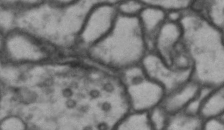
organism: Drosophila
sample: Brain